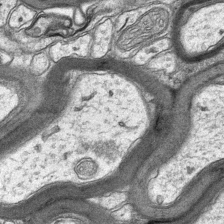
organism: Mouse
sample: CA1 Hippocampus